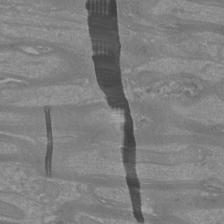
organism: Mouse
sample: Cortical neurons